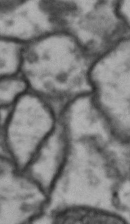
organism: Drosophila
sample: Brain